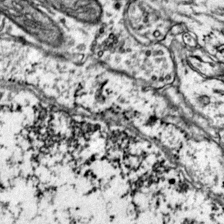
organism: Mouse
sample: Primary visual cortex